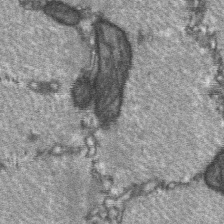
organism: C57BL Mouse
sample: Soleus